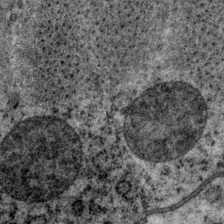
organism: P. pacificus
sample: Pharynx